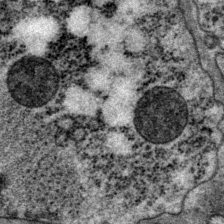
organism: P. pacificus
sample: Pharynx